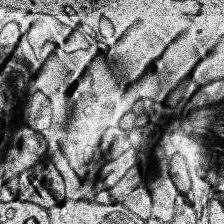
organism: Human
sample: Temporal Lobe